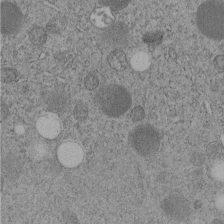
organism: C. elegans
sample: C. elegans embryo early stage